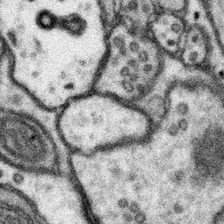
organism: Mouse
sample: Somatosensory cortex neuropil